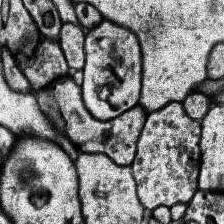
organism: Human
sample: Temporal Lobe